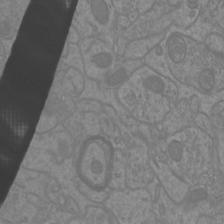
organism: Mouse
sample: Cortical neurons